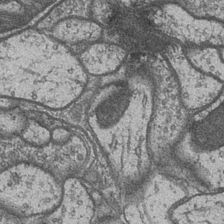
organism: Drosophila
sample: Optic medulla